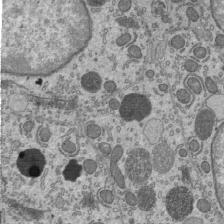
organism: Mouse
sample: Mouse epididymis efferent ductule cilia